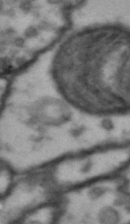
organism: Drosophila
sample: Brain